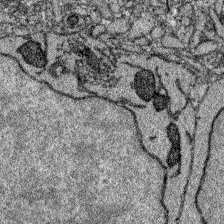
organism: Zebrafish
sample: Larval olfactory bulb